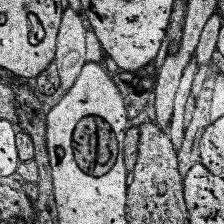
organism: Human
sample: Temporal Lobe